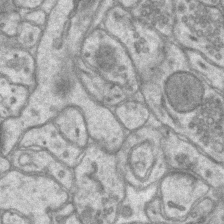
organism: Mouse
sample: CA1 Hippocampus